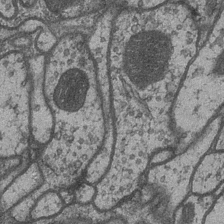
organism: Drosophila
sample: Optic medulla